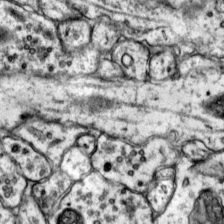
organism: Mouse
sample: Primary visual cortex